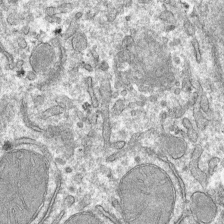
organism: Mouse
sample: Mouse hepatocytes